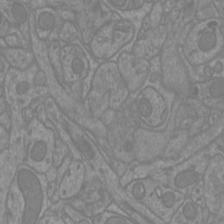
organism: Mouse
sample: Cortical neurons